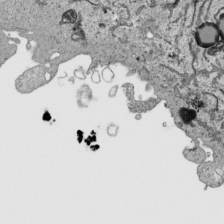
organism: Human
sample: Mitochondria in HCT116 cells